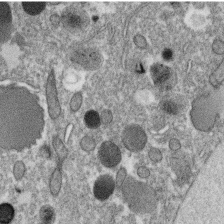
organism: C. elegans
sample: C. elegans oocyte; sperm cells